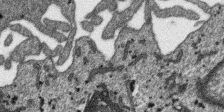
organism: Human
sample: Lung epithelial cells infected with SARS-CoV-2